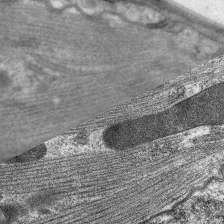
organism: C. elegans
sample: Pharynx